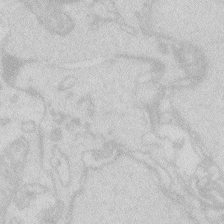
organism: Zebrafish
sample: Macrophage